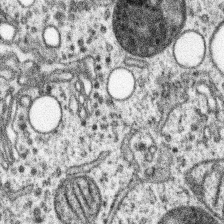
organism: Human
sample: HeLa cells